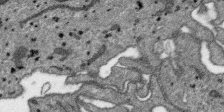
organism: Human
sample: Lung epithelial cells, uninfected (mock) control